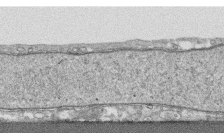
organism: Human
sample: CRL-1474